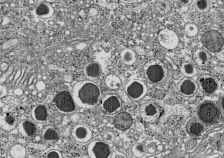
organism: C57BL Mouse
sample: Pancreatic islet